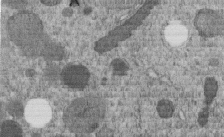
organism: C. elegans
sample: C. elegans embryo early stage